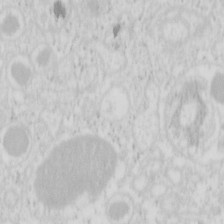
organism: Mouse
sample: Pancreas